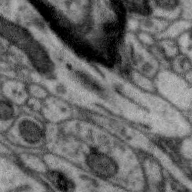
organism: Zebra finch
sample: Brain